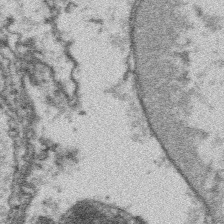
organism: Platynereis dumerilii